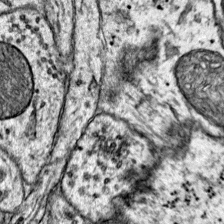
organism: Mouse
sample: Primary visual cortex